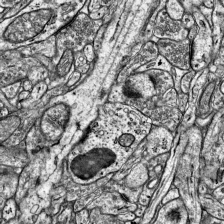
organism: Mouse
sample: Visual Cortex